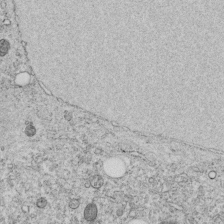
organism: C. elegans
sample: C. elegans embryo early stage